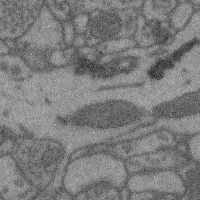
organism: Mouse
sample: Cerebral cortex